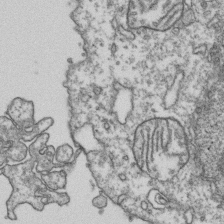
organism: Human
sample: Activated Jurkat CD4+ T cells